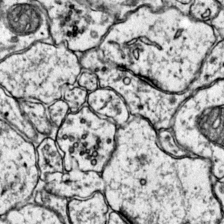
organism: Mouse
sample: Primary visual cortex